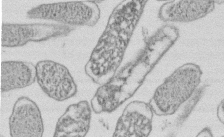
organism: E. coli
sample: Bacterial nucleoid